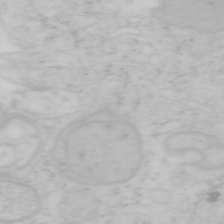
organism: Mouse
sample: OT-I killer T cells with ID8 ovarian cancer cells